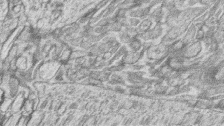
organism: Zebrafish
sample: synaptic ribbons in rod cells and cone cells